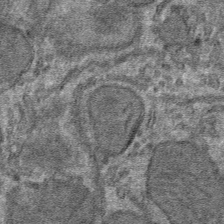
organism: Mouse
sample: Mouse hepatocytes